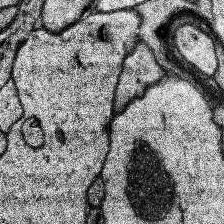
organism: Human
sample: Temporal Lobe